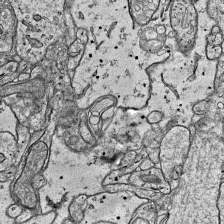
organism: Mouse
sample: Visual Cortex